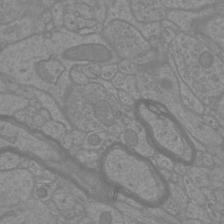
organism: Mouse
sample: Cortical neurons